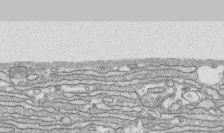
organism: Human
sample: CRL-1474